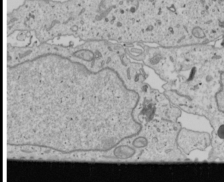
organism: Human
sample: Mitochondria in U2OS cells